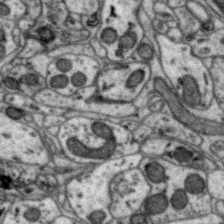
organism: Zebra finch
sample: Brain